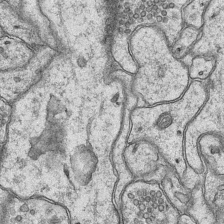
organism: Mouse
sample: CA1 Hippocampus